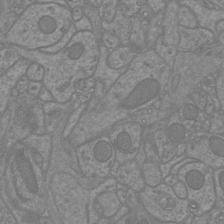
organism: Mouse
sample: Cortical neurons